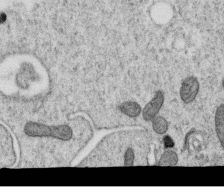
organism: C. elegans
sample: C. elegans oocyte; sperm cells